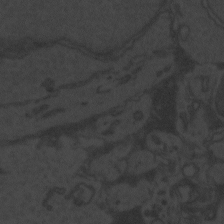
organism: Zebrafish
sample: Macrophage infected with Toxoplasma gondii